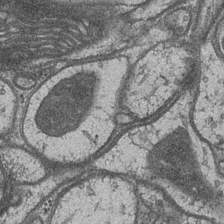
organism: Drosophila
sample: Optic medulla